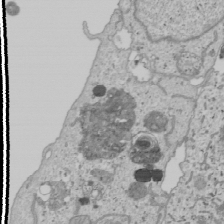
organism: Human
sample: Mitochondria in U2OS cells